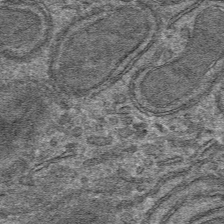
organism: Mouse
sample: Mouse hepatocytes